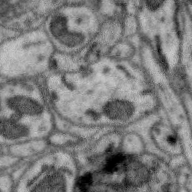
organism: Zebra finch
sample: Brain